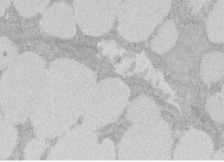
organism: Rat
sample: Salivary granule